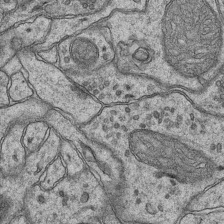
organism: Mouse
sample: CA1 Hippocampus